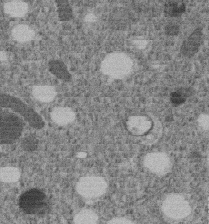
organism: C. elegans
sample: C. elegans embryo early stage